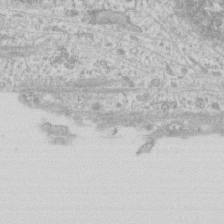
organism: Human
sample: Fibroblast cells